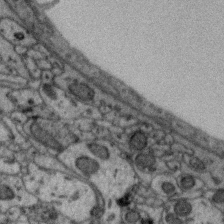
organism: Zebra finch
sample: Brain